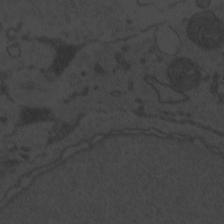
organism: Zebrafish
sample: Macrophage infected with Toxoplasma gondii